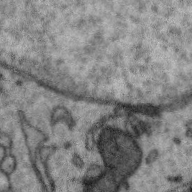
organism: Zebra finch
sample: Brain